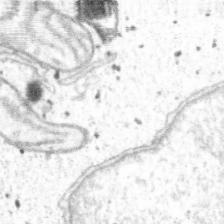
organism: Human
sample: HeLa cells